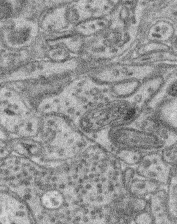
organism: Mouse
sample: Retina